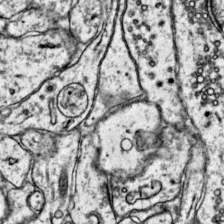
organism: Mouse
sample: Primary visual cortex